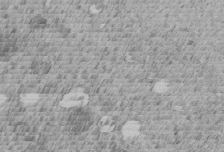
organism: C. elegans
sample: C. elegans embryo early stage